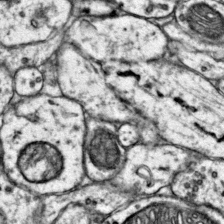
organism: Mouse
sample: Primary visual cortex